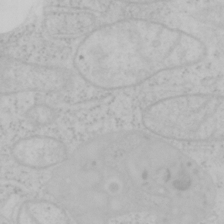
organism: Mouse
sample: OT-I killer T cells with ID8 ovarian cancer cells